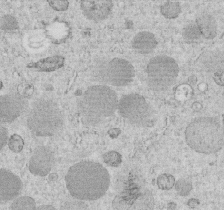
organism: C. elegans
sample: C. elegans embryo early stage